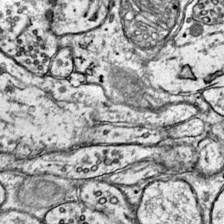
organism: Mouse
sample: Primary visual cortex